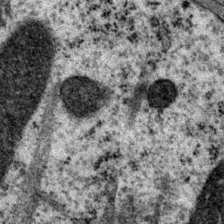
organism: P. pacificus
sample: Pharynx